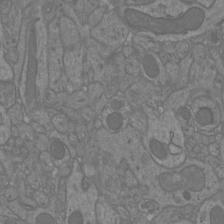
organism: Mouse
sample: Cortical neurons